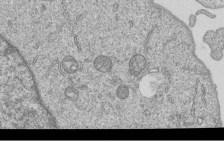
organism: Human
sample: MDA-MB-231 cells